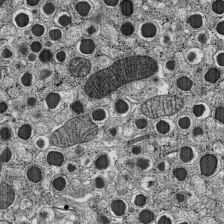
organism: C57BL Mouse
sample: Pancreatic islet